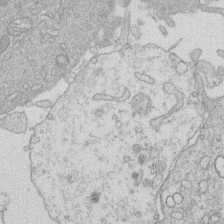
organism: Human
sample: Macrophage cells